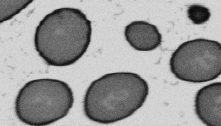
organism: B. subtilis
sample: Bacterial spore